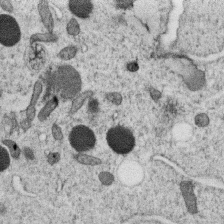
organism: C. elegans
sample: C. elegans oocyte; sperm cells